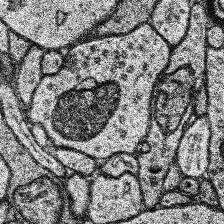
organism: Human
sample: Temporal Lobe